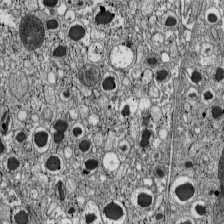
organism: C57BL Mouse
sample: Pancreatic islet